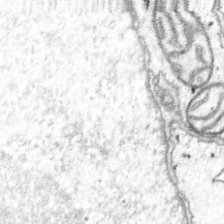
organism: Human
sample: HeLa cells